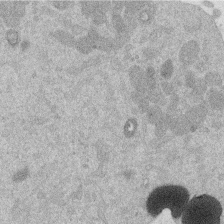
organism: Mouse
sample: Dividing mouse embryo 1 cell stage